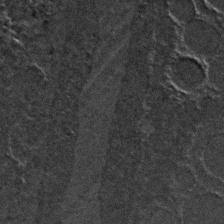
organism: C. elegans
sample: C. elegans embryo